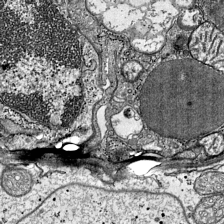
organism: Mouse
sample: Visual Cortex